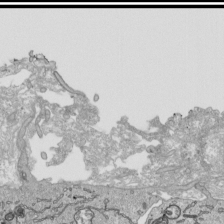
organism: Human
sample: Mitochondria in HCT116 cells